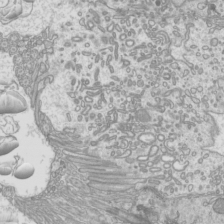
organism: Mouse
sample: Cilia; mouse epididymis